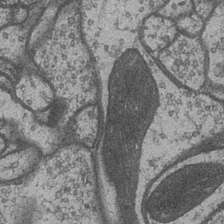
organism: Drosophila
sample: Optic medulla